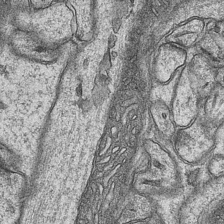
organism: Mouse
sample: CA1 Hippocampus